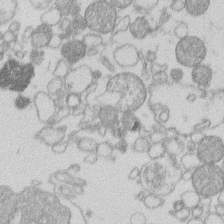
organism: Human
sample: Macrophage cells